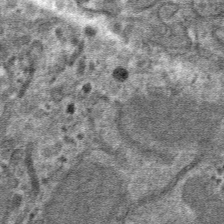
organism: Mouse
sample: Mouse hepatocytes